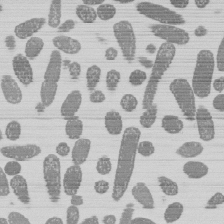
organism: E. coli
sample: Bacterial nucleoid